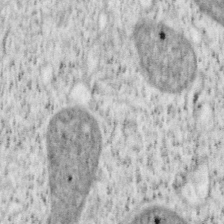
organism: Mouse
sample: OT-I killer T cells with ID8 ovarian cancer cells